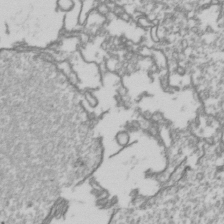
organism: Drosophila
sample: Cell division; meiosis; drosophila spermatocytes